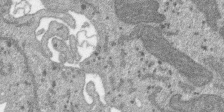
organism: Human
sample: Lung epithelial cells infected with SARS-CoV-2